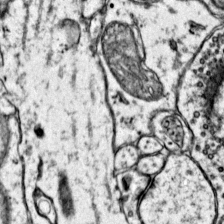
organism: Mouse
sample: Primary visual cortex